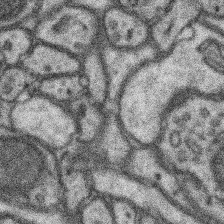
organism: Mouse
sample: Somatosensory cortex neuropil